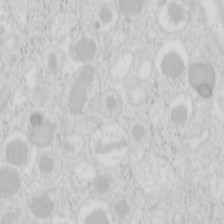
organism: Mouse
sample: Pancreas